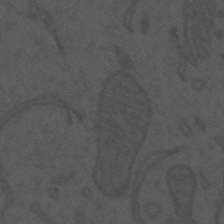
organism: Mouse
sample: Suprachiasmatic nucleus